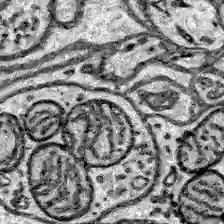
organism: Zebrafish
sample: Brain